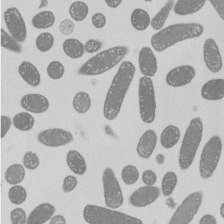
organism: E. coli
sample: Bacterial nucleoid